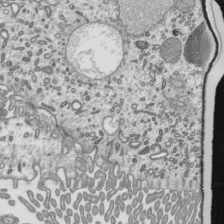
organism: Mouse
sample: Mouse epididymis efferent ductule cilia